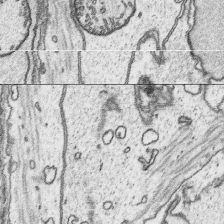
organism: Platynereis dumerilii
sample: Parapodia